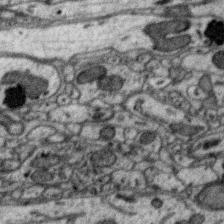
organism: Zebra finch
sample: Brain